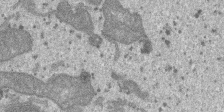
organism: Human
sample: Lung epithelial cells infected with SARS-CoV-2